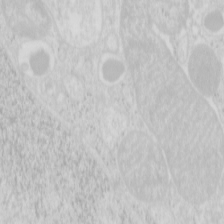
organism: Mouse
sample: Pancreas